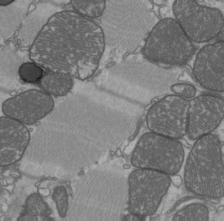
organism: C57BL Mouse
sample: Heart